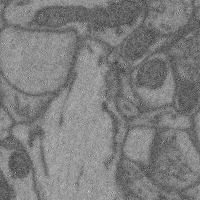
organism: Mouse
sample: Cerebral cortex